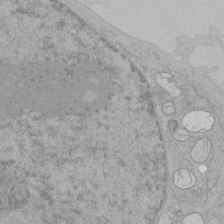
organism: Human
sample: Mitochondria in HCT116 cells